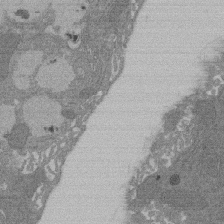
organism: Rat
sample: Salivary granule